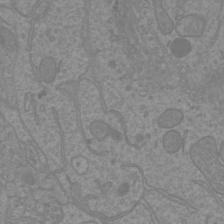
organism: Mouse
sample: Cortical neurons